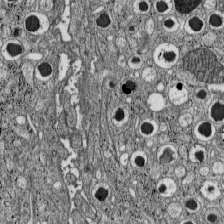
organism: C57BL Mouse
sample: Pancreatic islet